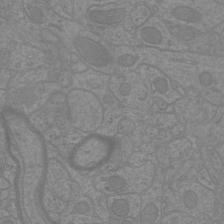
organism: Mouse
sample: Cortical neurons